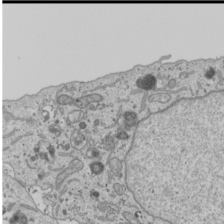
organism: Human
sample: Mitochondria in U2OS cells